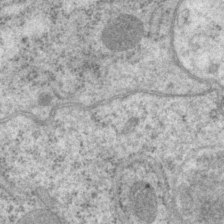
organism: P. pacificus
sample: Pharynx